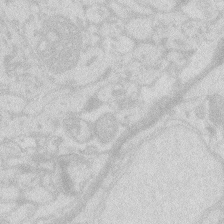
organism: Zebrafish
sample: Macrophage